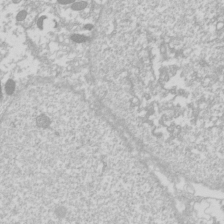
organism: Drosophila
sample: Cell division; meiosis; drosophila spermatocytes